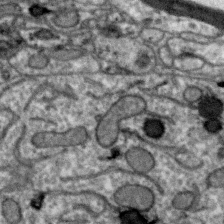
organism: Zebra finch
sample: Brain